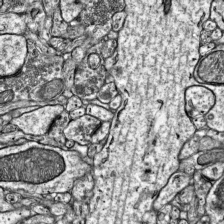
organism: Mouse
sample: Visual Cortex